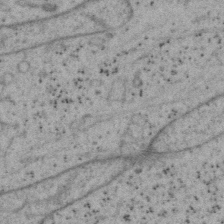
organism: Human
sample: HeLa cells